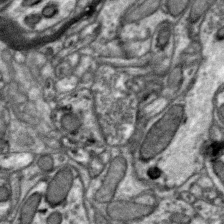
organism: Zebra finch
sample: Brain